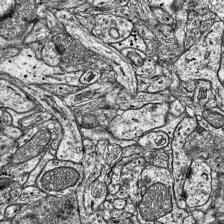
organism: Mouse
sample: Visual Cortex